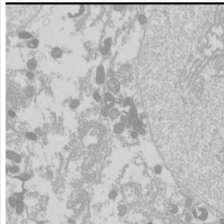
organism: Drosophila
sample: Cell division; meiosis; drosophila spermatocytes